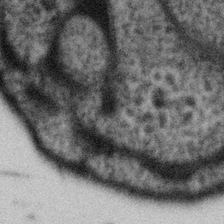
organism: Gemmata obscuriglobus